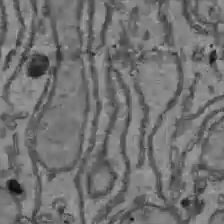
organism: C57BL Mouse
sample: Liver